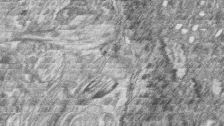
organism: Zebrafish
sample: synaptic ribbons in rod cells and cone cells